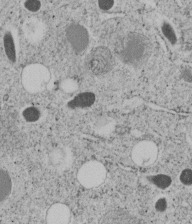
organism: C. elegans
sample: C. elegans embryo early stage